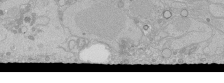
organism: Human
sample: Caco-2 cells